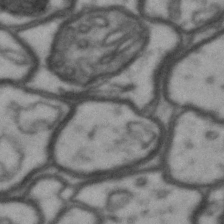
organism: Drosophila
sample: Brain